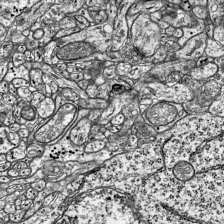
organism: Mouse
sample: Visual Cortex